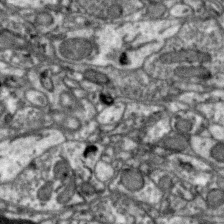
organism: Zebra finch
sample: Brain